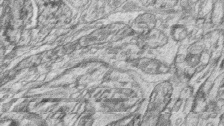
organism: Zebrafish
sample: synaptic ribbons in rod cells and cone cells